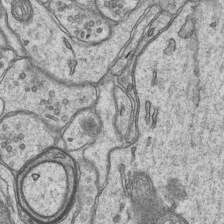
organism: Mouse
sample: CA1 Hippocampus